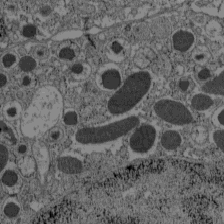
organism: C57BL Mouse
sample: Pancreatic islet